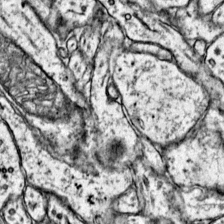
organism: Mouse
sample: Primary visual cortex